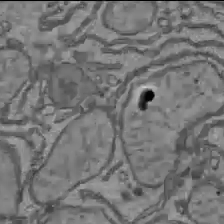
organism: C57BL Mouse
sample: Liver